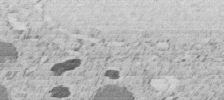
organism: C. elegans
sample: C. elegans embryo early stage